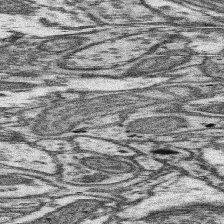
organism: Mouse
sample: Somatosensory cortex neuropil